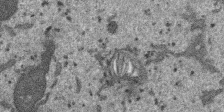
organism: Human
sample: Lung epithelial cells infected with SARS-CoV-2